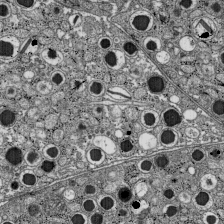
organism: C57BL Mouse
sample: Pancreatic islet